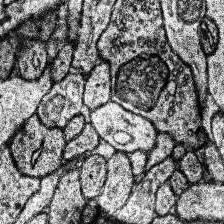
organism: Human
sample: Temporal Lobe